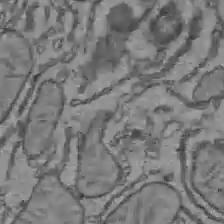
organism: C57BL Mouse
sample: Liver